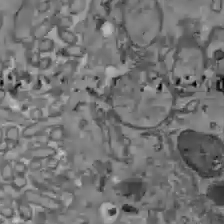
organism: C57BL Mouse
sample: Liver